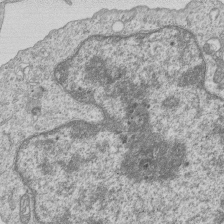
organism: Human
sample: MDA-MB-231 cells